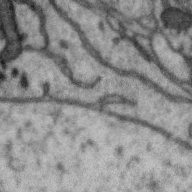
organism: Zebra finch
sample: Brain